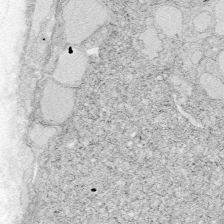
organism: Zebrafish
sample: Whole-Brain